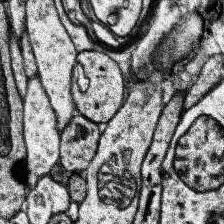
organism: Human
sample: Temporal Lobe